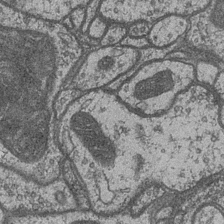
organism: Drosophila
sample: Optic medulla